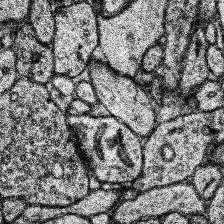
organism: Human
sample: Temporal Lobe